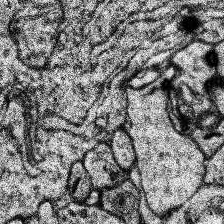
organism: Human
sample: Temporal Lobe